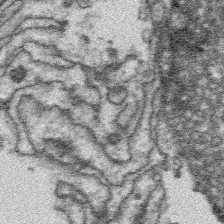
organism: Platynereis dumerilii